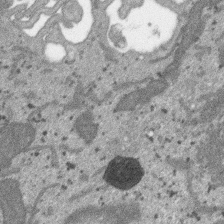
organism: Human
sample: Lung epithelial cells infected with SARS-CoV-2